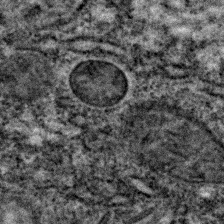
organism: C. elegans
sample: C. elegans embryo